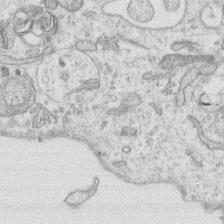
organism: Human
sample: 1205lu cells